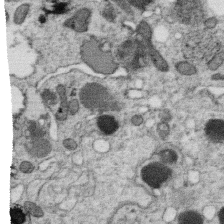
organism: C. elegans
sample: C. elegans oocyte; sperm cells